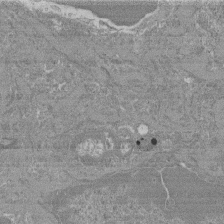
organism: Mouse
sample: Glomerulus